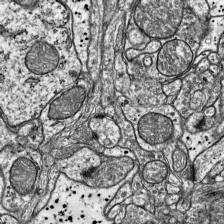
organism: Mouse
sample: Visual Cortex